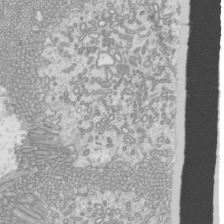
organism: Mouse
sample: Cilia; mouse epididymis